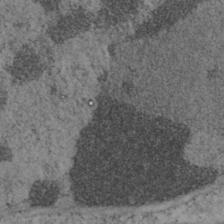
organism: Mouse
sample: OT-I killer T cells with ID8 ovarian cancer cells